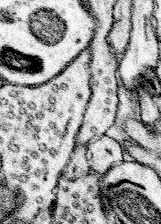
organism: Mouse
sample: Somatosensory cortex neuropil